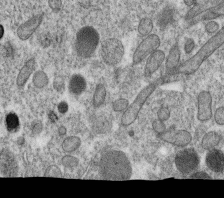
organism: C. elegans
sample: C. elegans oocyte; sperm cells